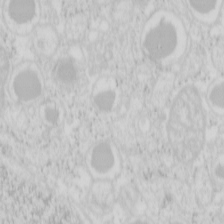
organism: Mouse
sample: Pancreas